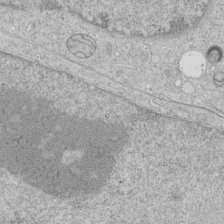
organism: Human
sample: Mitochondria in HCT116 cells